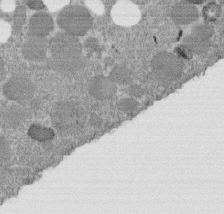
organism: C. elegans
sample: C. elegans embryo early stage